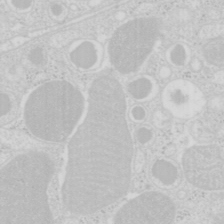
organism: Mouse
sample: Pancreas